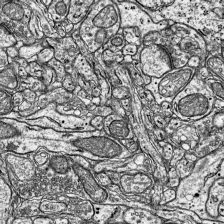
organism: Mouse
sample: Visual Cortex